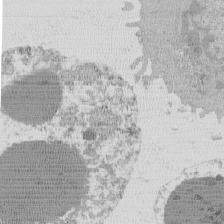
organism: Mouse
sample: Activated Pmel transgenic CD8+ T Cells